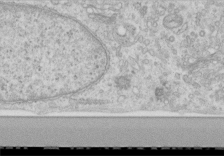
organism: Human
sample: Centriole in RPE cells